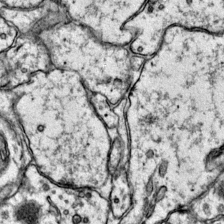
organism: Mouse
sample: Primary visual cortex